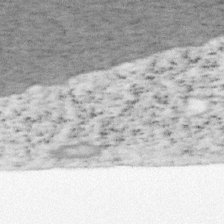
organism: Mouse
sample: OT-I killer T cells with ID8 ovarian cancer cells